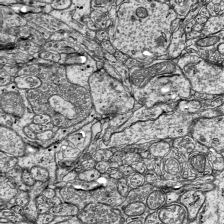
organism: Mouse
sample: Visual Cortex